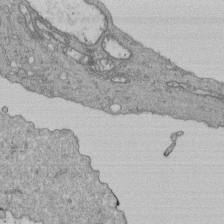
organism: Human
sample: Retinal organoid Rod and Cone cells